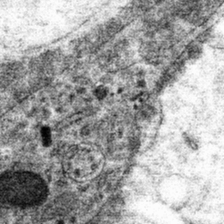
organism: Mouse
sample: Mouse hepatocytes